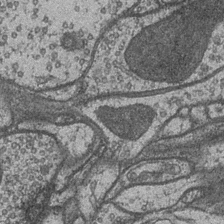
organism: Drosophila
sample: Optic medulla